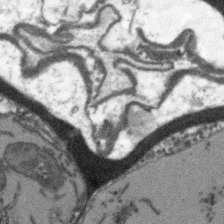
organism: Arabidopsis thaliana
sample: Root tip